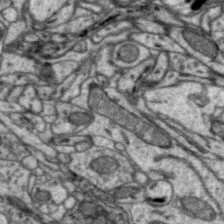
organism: Zebra finch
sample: Brain